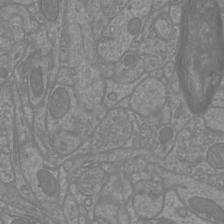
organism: Mouse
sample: Cortical neurons